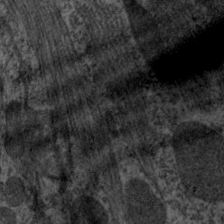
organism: C. elegans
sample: Pharynx